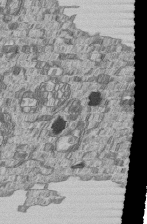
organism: Human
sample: MDA-MB-231 cells